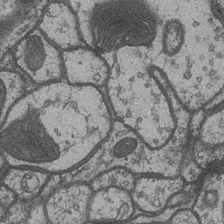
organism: Drosophila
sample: Optic medulla